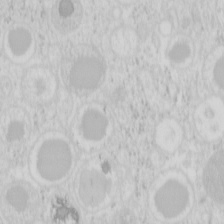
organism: Mouse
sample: Pancreas